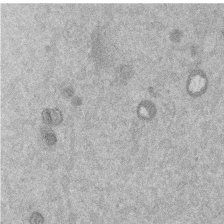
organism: Mouse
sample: Dividing mouse embryo 1 cell stage